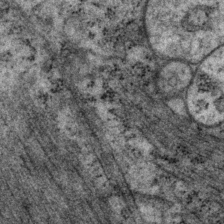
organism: P. pacificus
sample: Pharynx